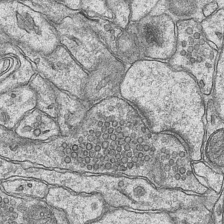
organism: Mouse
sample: CA1 Hippocampus